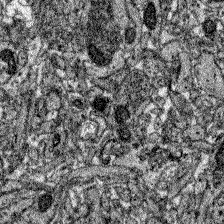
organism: Zebrafish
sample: Larval olfactory bulb